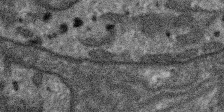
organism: Human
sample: Lung epithelial cells infected with SARS-CoV-2